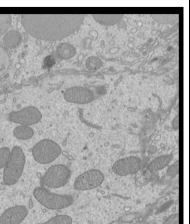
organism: Mouse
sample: Cilia; mouse epididymis